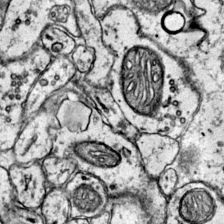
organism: Mouse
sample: Primary visual cortex